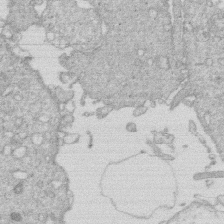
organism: Human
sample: Macrophage cells